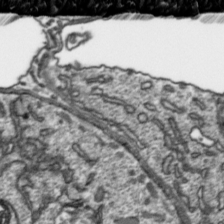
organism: Toxoplasma gondii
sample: Parasites in a vacuole inside a host cell